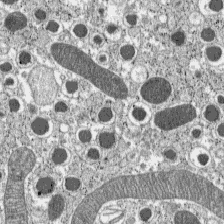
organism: C57BL Mouse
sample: Pancreatic islet